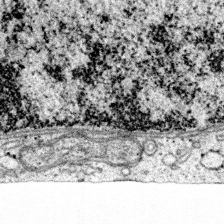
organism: Human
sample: HeLa cells